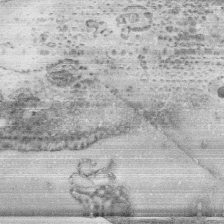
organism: Human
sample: CRL-1474